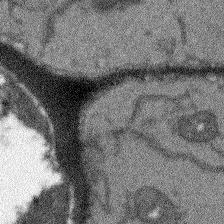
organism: Arabidopsis thaliana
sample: Root tip